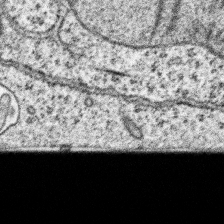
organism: Human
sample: HeLa cells